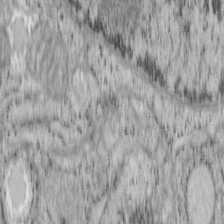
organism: Human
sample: HeLa cells